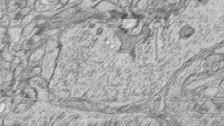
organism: Zebrafish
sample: synaptic ribbons in rod cells and cone cells